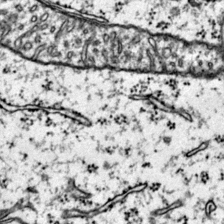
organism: Mouse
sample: Primary visual cortex